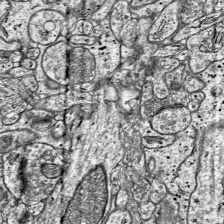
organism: Mouse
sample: Visual Cortex